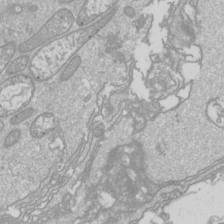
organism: Drosophila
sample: Cell division; meiosis; drosophila spermatocytes